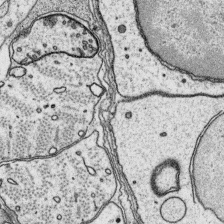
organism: Platynereis dumerilii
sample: Parapodia